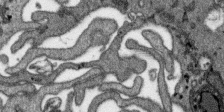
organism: Human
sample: Lung epithelial cells, uninfected (mock) control